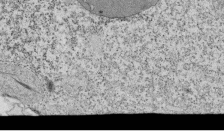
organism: Tetrahymena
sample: Cilia in tetrahymena